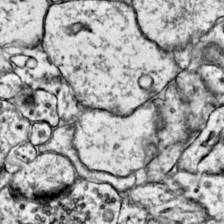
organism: Mouse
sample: Primary visual cortex